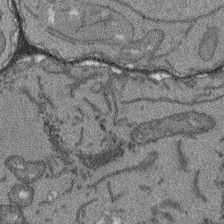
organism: Arabidopsis thaliana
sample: Root tip